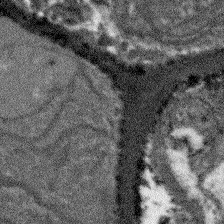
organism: Arabidopsis thaliana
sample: Root tip